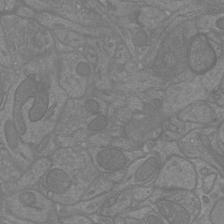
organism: Mouse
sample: Cortical neurons